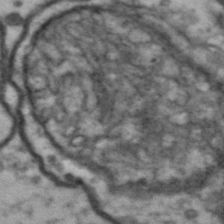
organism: Drosophila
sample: Brain